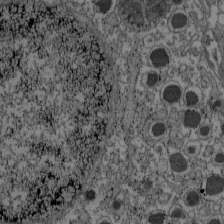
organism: C57BL Mouse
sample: Pancreatic islet